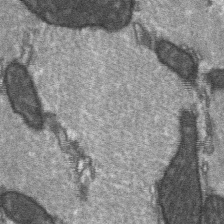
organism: C57BL Mouse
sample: Soleus